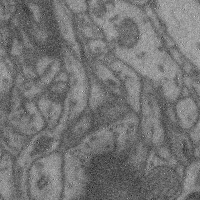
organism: Mouse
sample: Cerebral cortex